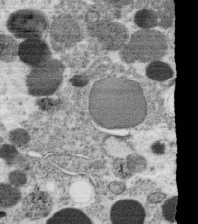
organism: C. elegans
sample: C. elegans oocyte; sperm cells